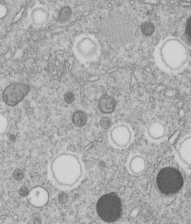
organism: C. elegans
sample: C. elegans embryo early stage